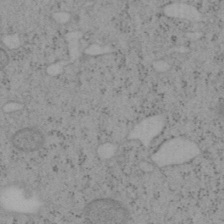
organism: Mouse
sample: OT-I killer T cells with ID8 ovarian cancer cells